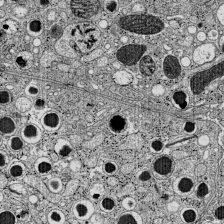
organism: C57BL Mouse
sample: Pancreatic islet